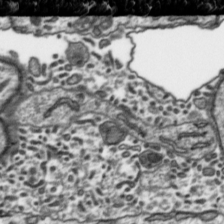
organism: Toxoplasma gondii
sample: Parasites in a vacuole inside a host cell